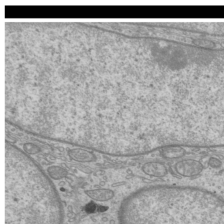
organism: Mouse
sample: Cilia; mouse epididymis